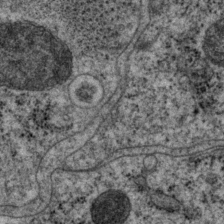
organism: P. pacificus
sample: Pharynx